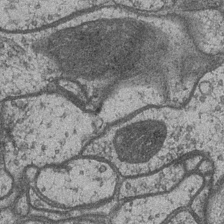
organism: Drosophila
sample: Optic medulla